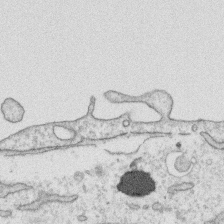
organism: Human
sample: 1205lu cells